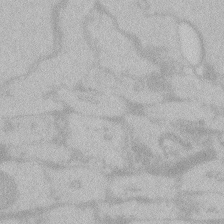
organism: Zebrafish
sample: Macrophage infected with Toxoplasma gondii